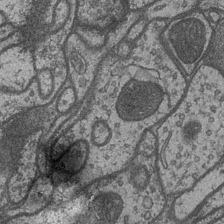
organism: Drosophila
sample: Optic medulla